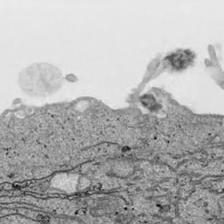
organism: Human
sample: HeLa cells